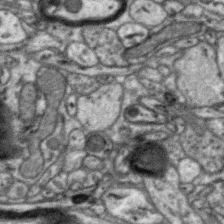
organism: Zebra finch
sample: Brain